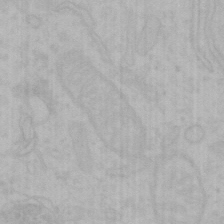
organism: Mouse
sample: Choroid plexus